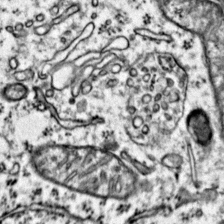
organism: Mouse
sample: Primary visual cortex